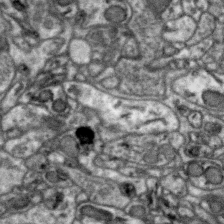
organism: Zebra finch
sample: Brain